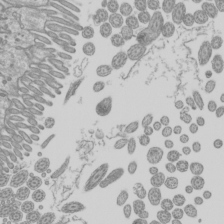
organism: Mouse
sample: Cilia; mouse epididymis